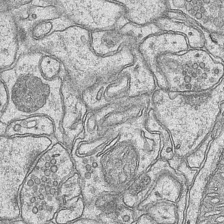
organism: Mouse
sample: CA1 Hippocampus